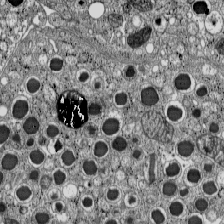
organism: C57BL Mouse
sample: Pancreatic islet